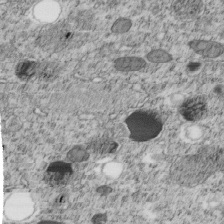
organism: C. elegans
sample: C. elegans embryo early stage